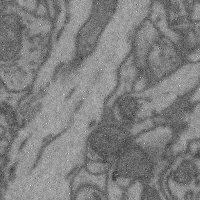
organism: Mouse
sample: Cerebral cortex